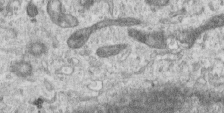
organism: Human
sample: Centriole in RPE cells